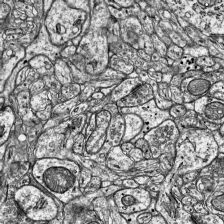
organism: Mouse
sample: Visual Cortex